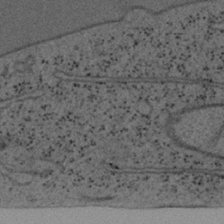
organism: Human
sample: HeLa cells